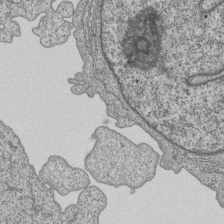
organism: Human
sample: MDA-MB-231 cells